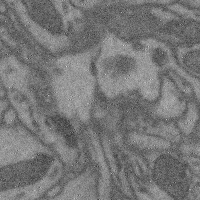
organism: Mouse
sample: Cerebral cortex